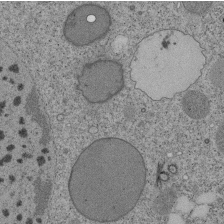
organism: Tetrahymena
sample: Cilia in tetrahymena